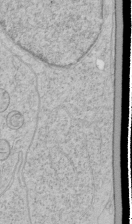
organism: Human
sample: Mitochondria in HCT116 cells